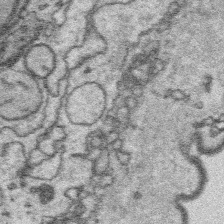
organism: Platynereis dumerilii